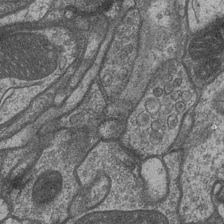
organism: Drosophila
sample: Optic medulla